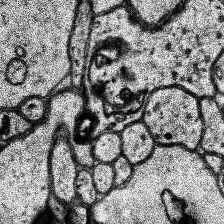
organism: Human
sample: Temporal Lobe